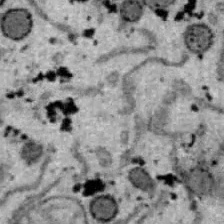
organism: Mouse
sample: Liver from an obese (ob/ob) mouse